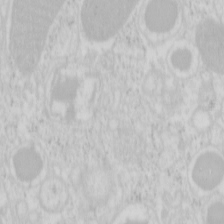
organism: Mouse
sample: Pancreas